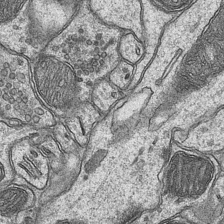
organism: Mouse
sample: CA1 Hippocampus